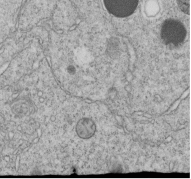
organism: C. elegans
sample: C. elegans embryo early stage